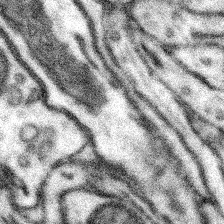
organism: Mouse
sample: Somatosensory cortex neuropil